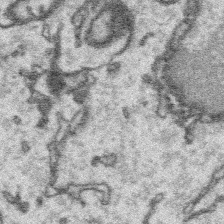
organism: Platynereis dumerilii